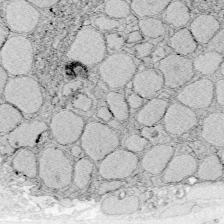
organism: Zebrafish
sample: Whole-Brain